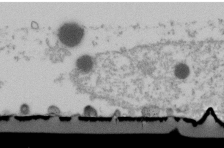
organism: Human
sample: U2-OS cells